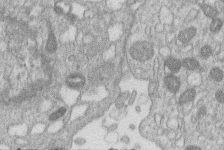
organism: Human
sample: Macrophage cells